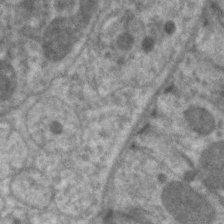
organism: C. elegans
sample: Pharynx